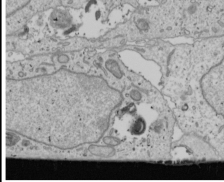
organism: Human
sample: Mitochondria in U2OS cells